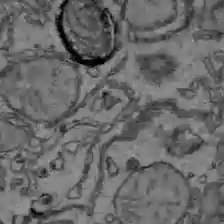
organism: C57BL Mouse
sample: Liver